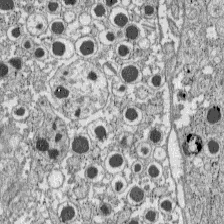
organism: C57BL Mouse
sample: Pancreatic islet